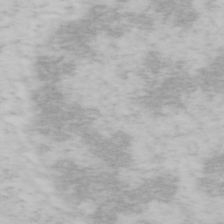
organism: Mouse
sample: OT-I killer T cells with ID8 ovarian cancer cells